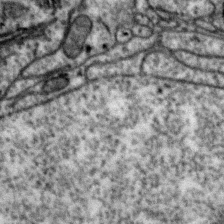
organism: Zebra finch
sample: Brain